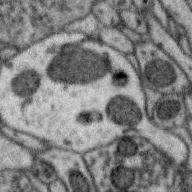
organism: Zebra finch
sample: Brain